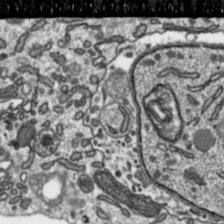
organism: Toxoplasma gondii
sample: Parasites in a vacuole inside a host cell